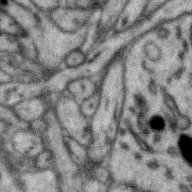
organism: Zebra finch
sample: Brain